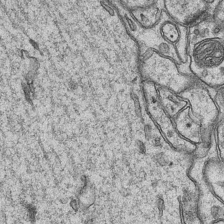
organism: Mouse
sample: CA1 Hippocampus